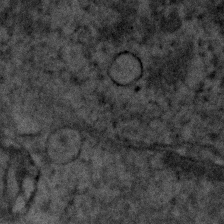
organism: Human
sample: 1205lu cells